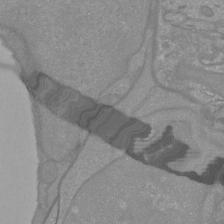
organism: Mouse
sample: Cortical neurons